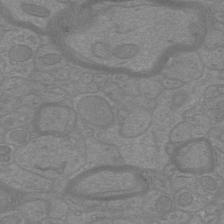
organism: Mouse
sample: Cortical neurons